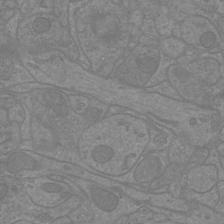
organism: Mouse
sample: Cortical neurons